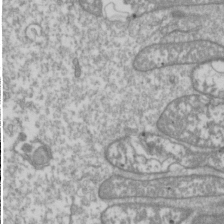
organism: Drosophila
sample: Cell division; meiosis; drosophila spermatocytes